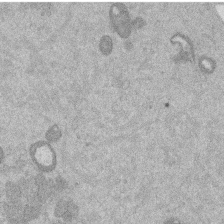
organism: Mouse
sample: Dividing mouse embryo 1 cell stage